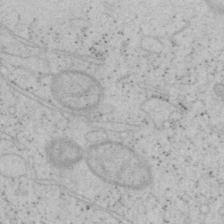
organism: Human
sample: HeLa cells